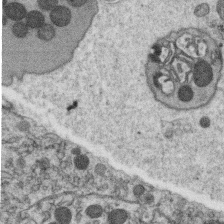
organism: C. elegans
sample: C. elegans oocyte; sperm cells